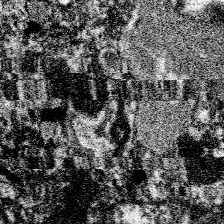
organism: Spongilla lacustris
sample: Neuroid cell